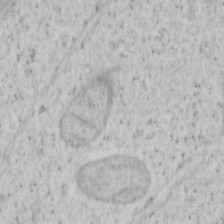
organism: Human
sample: HeLa cells